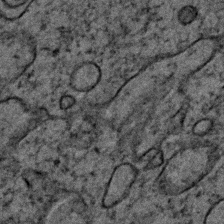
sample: Trachea